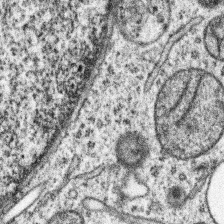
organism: Human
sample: HeLa cells